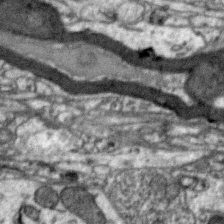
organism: Zebra finch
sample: Brain